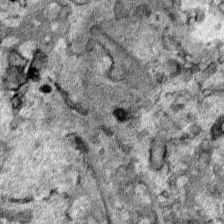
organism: Human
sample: Mitochondria in HCT116 cells